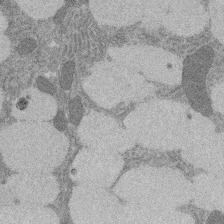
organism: Rat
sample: Salivary granule